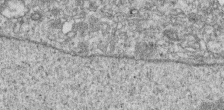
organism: Human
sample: HeLa cell HIV synapse